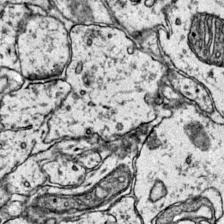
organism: Mouse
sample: Primary visual cortex